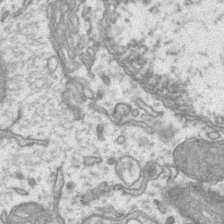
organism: Mouse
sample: CA1 Hippocampus